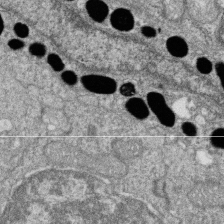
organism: Zebrafish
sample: Cilia; retinal pigment epithelium